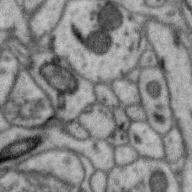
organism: Zebra finch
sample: Brain